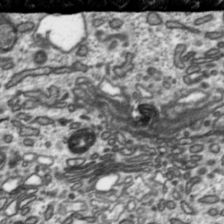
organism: Toxoplasma gondii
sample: Parasites in a vacuole inside a host cell